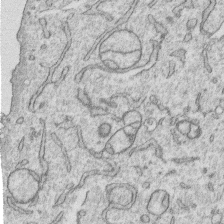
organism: Human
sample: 1205lu cells